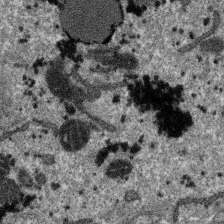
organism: Human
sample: Lung epithelial cells infected with SARS-CoV-2